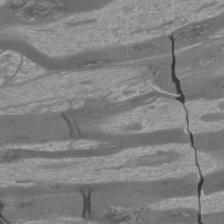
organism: Mouse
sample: Cortical neurons